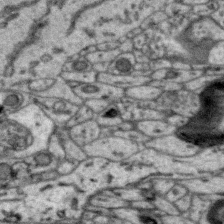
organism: Zebra finch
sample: Brain